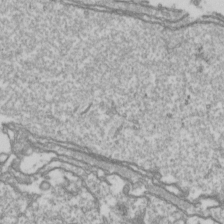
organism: Drosophila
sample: Cell division; meiosis; drosophila spermatocytes